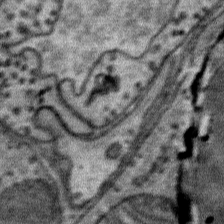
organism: Mouse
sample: Mouse Salivary gland